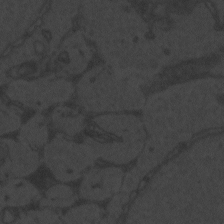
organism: Zebrafish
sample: Macrophage infected with Toxoplasma gondii